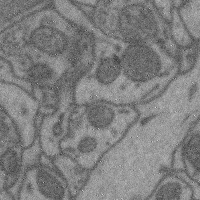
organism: Mouse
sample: Cerebral cortex